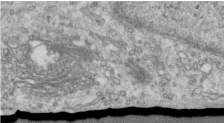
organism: Human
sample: Centriole in RPE cells